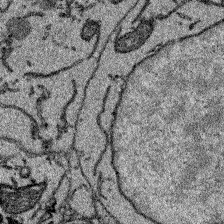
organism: Zebrafish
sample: Larval olfactory bulb